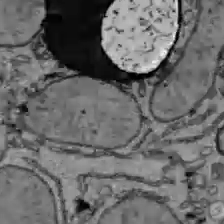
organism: C57BL Mouse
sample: Liver